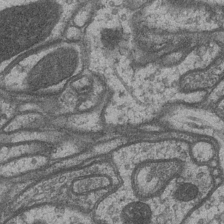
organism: Drosophila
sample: Optic medulla